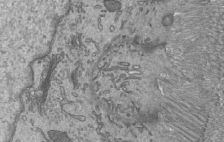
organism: Mouse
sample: Mouse epididymis efferent ductule cilia